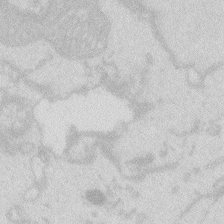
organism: Zebrafish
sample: Macrophage